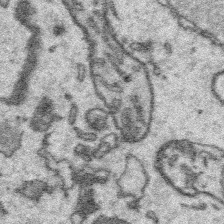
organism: Platynereis dumerilii